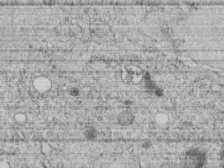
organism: C. elegans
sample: C. elegans embryo early stage